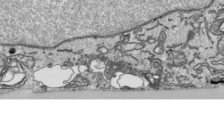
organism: Human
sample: Mitochondria in HCT116 cells